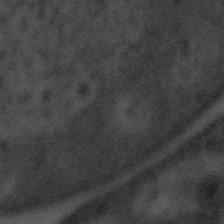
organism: Tuwongella immobilis